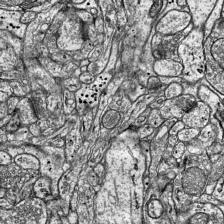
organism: Mouse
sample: Visual Cortex